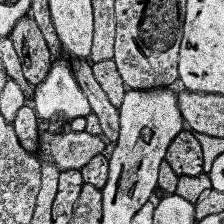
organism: Human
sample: Temporal Lobe